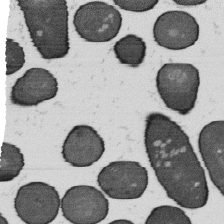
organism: B. subtilis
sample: Bacterial spore